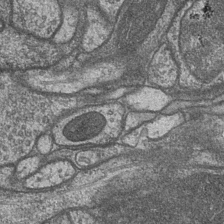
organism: Drosophila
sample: Optic medulla